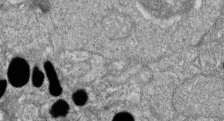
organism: Zebrafish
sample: Cilia; retinal pigment epithelium